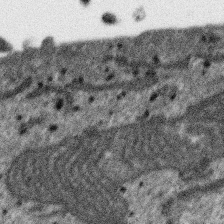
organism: Human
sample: Lung epithelial cells infected with SARS-CoV-2